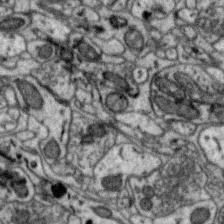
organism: Zebra finch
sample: Brain